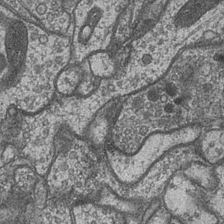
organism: Drosophila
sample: Optic medulla